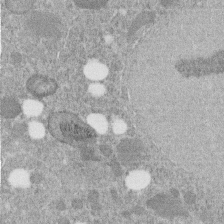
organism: C. elegans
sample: C. elegans embryo early stage